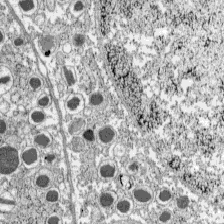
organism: C57BL Mouse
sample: Pancreatic islet